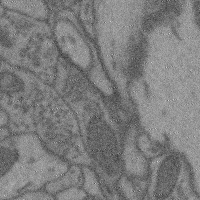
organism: Mouse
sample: Cerebral cortex